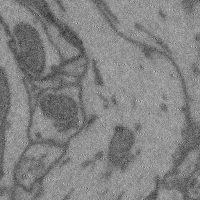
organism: Mouse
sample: Cerebral cortex